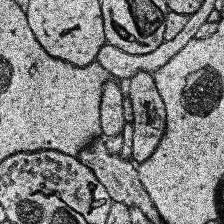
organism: Human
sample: Temporal Lobe